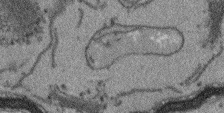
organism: Arabidopsis thaliana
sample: Root tip